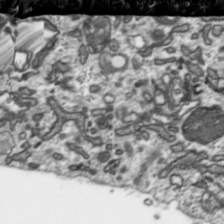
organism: Toxoplasma gondii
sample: Parasites in a vacuole inside a host cell